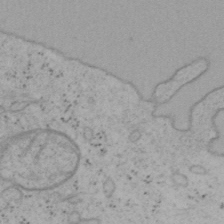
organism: Human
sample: HeLa cells